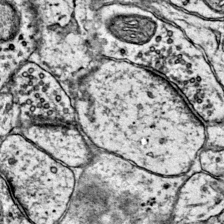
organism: Mouse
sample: Primary visual cortex